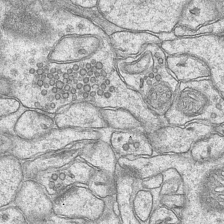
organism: Mouse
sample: CA1 Hippocampus